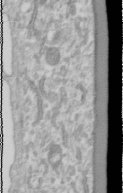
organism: Human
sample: Cilia; basal body in RPE cells